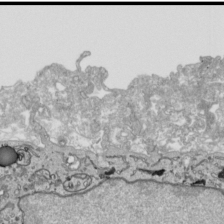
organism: Human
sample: Mitochondria in HCT116 cells